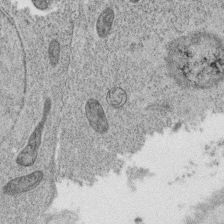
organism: C. elegans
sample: C. elegans oocyte; sperm cells